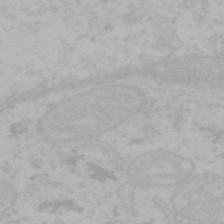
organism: Mouse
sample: Choroid plexus